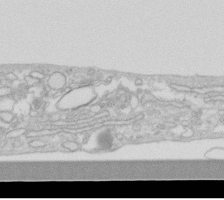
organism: Human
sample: Fibroblast cells